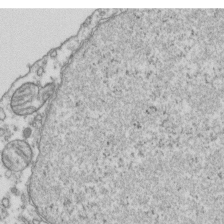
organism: Human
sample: Activated Jurkat CD4+ T cells